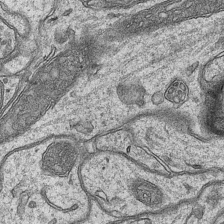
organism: Mouse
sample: CA1 Hippocampus